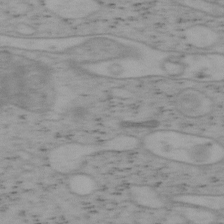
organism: Mouse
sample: OT-I killer T cells with ID8 ovarian cancer cells